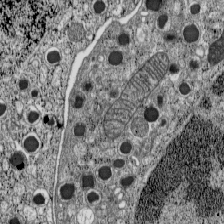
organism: C57BL Mouse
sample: Pancreatic islet